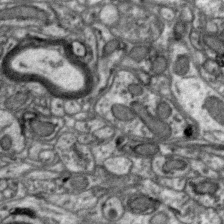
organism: Zebra finch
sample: Brain